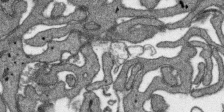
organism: Human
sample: Lung epithelial cells, uninfected (mock) control